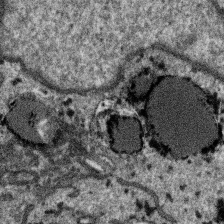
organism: Human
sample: Lung epithelial cells infected with SARS-CoV-2